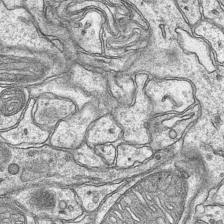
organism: Mouse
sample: CA1 Hippocampus